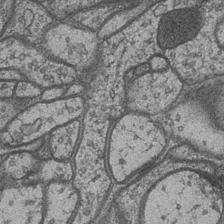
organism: Drosophila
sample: Optic medulla